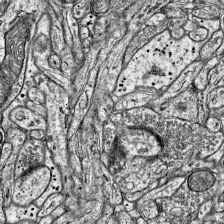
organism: Mouse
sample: Visual Cortex